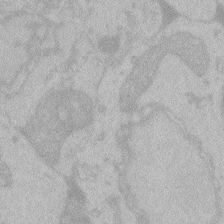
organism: Zebrafish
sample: Macrophage infected with Toxoplasma gondii